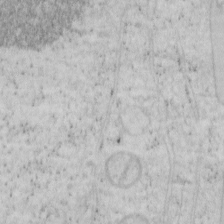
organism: Human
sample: HeLa cells